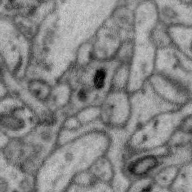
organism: Zebra finch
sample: Brain